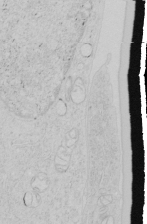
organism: Human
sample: Mitochondria in HCT116 cells